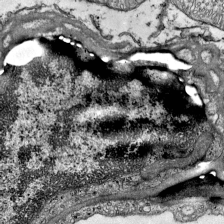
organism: Mouse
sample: Visual Cortex